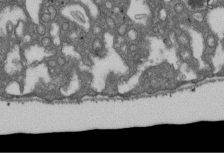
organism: Drosophila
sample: Nephrocyte